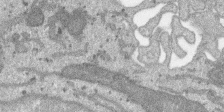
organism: Human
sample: Lung epithelial cells infected with SARS-CoV-2